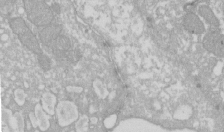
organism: Xenopus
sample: Cilia; centrioles in frog embryo cells